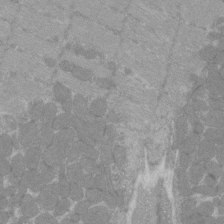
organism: C57BL Mouse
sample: Tibialis anterior muscle cell